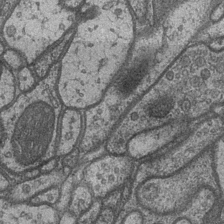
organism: Drosophila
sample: Optic medulla